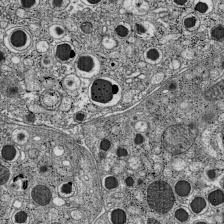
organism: C57BL Mouse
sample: Pancreatic islet